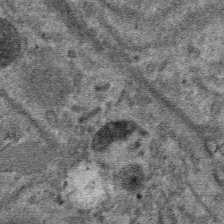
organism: Mouse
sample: Mouse hepatocytes